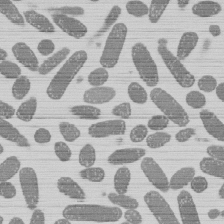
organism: E. coli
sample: Bacterial nucleoid